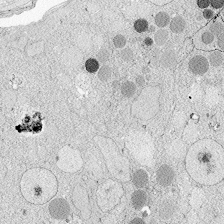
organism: Zebrafish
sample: Whole-Brain